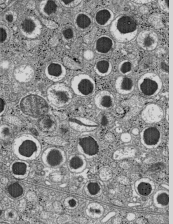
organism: C57BL Mouse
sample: Pancreatic islet